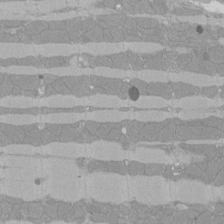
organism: Rat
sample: Left ventricle